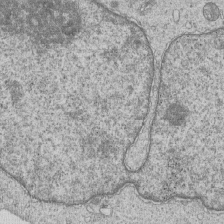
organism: Human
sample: MDA-MB-231 cells